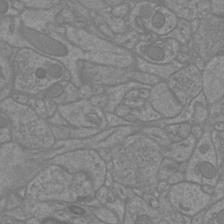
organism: Mouse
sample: Cortical neurons